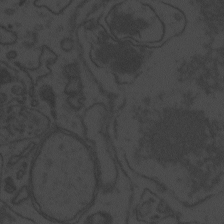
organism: Zebrafish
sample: Macrophage infected with Toxoplasma gondii